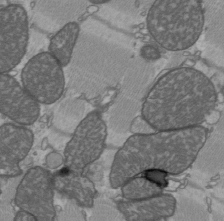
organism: C57BL Mouse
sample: Heart